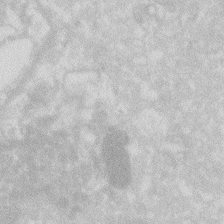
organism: Zebrafish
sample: Macrophage